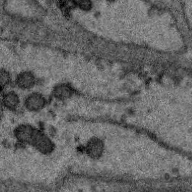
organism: Zebra finch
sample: Brain